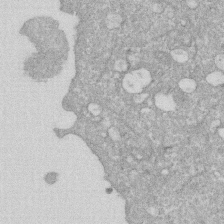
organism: Human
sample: HIV infected U937 cells